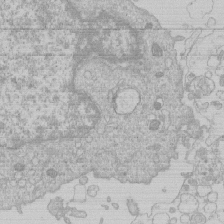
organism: Human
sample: Macrophage cells